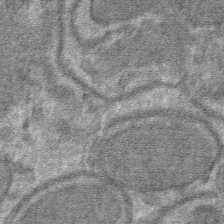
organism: Mouse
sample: Mouse hepatocytes